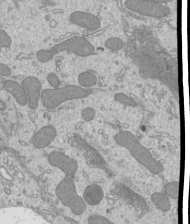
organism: Mouse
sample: Cilia; mouse epididymis